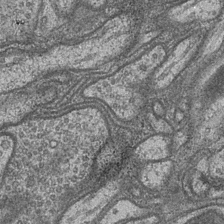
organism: Drosophila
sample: Optic medulla